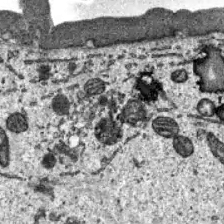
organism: Human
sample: HeLa cells